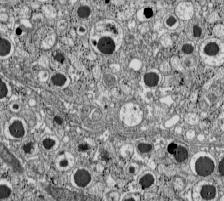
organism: C57BL Mouse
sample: Pancreatic islet